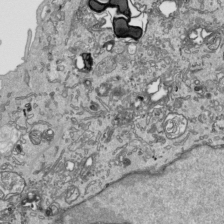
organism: Human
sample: Mitochondria in HCT116 cells